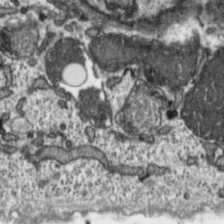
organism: Toxoplasma gondii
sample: Parasites in a vacuole inside a host cell